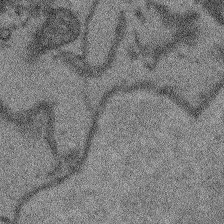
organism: Arabidopsis thaliana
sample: Root tip